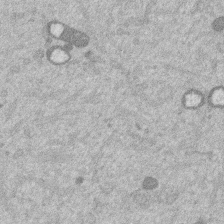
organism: Mouse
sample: Dividing mouse embryo 1 cell stage